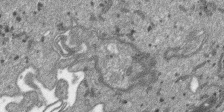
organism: Human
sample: Lung epithelial cells infected with SARS-CoV-2